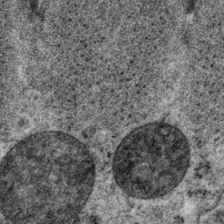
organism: P. pacificus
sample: Pharynx